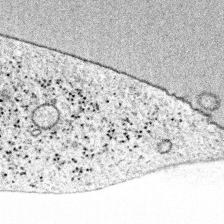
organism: Human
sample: HeLa cells